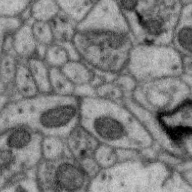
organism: Zebra finch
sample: Brain